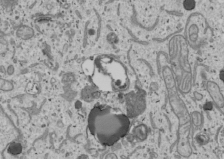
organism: Human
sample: Mitochondria in U2OS cells